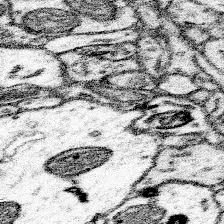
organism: Mouse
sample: Somatosensory cortex neuropil